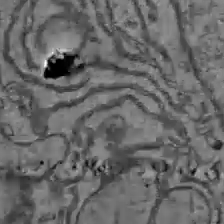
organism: C57BL Mouse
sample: Liver